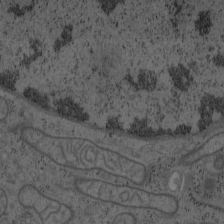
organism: Mouse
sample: OT-I killer T cells with ID8 ovarian cancer cells